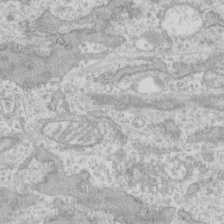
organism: Human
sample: CRL-1474